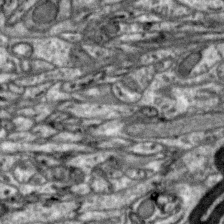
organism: Zebra finch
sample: Brain